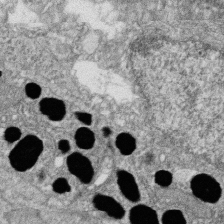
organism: Zebrafish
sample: Cilia; retinal pigment epithelium